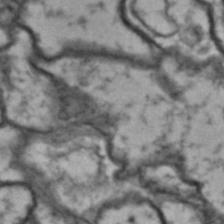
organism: Drosophila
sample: Brain